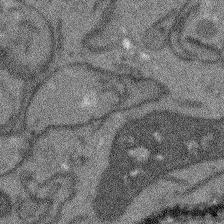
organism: Arabidopsis thaliana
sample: Root tip